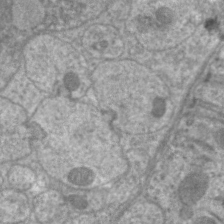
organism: C. elegans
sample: Pharynx